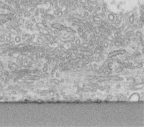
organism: Human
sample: Centriole in fibroblast cells